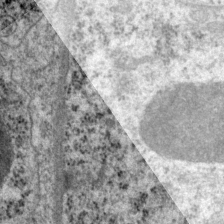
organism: P. pacificus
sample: Pharynx